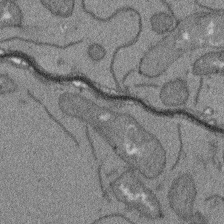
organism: Arabidopsis thaliana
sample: Root tip